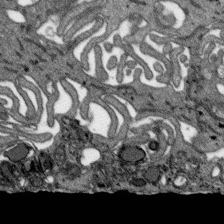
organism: Human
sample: Lung epithelial cells, uninfected (mock) control